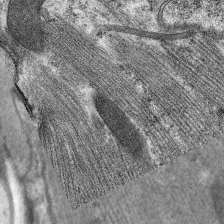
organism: C. elegans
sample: Pharynx